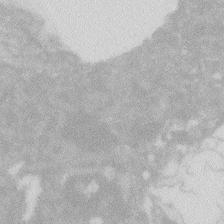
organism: Zebrafish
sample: Macrophage